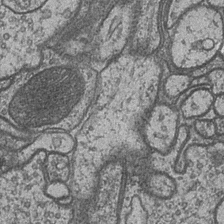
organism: Drosophila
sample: Optic medulla